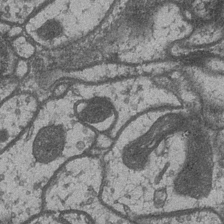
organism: Drosophila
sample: Optic medulla